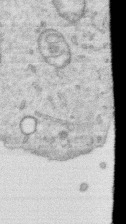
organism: Human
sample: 1205lu cells